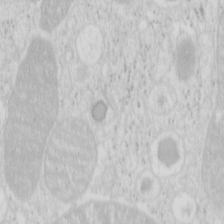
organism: Mouse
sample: Pancreas